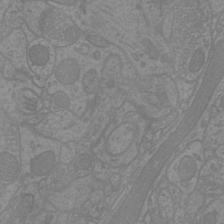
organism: Mouse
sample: Cortical neurons